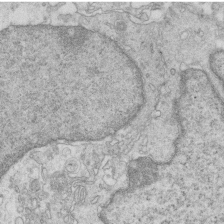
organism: Mouse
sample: Multiciliated cells